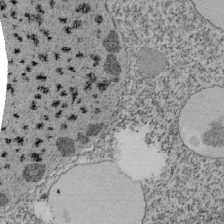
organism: Tetrahymena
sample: Cilia in tetrahymena